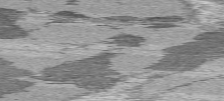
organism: C57BL Mouse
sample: Heart